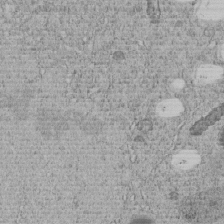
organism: C. elegans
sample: C. elegans embryo early stage